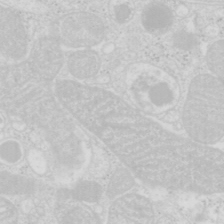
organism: Mouse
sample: Pancreas